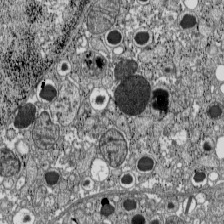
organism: C57BL Mouse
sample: Pancreatic islet